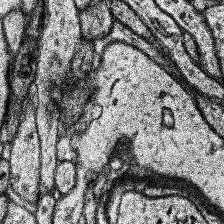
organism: Human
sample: Temporal Lobe